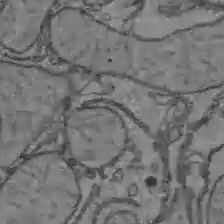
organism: C57BL Mouse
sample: Liver